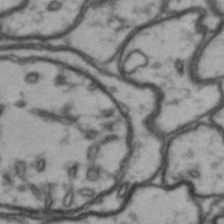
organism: Drosophila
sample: Brain